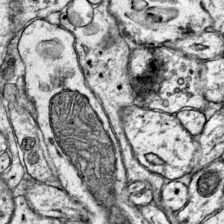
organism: Mouse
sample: Primary visual cortex